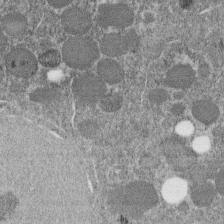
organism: C. elegans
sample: C. elegans embryo early stage